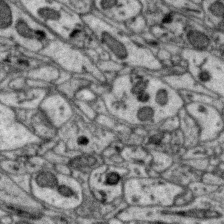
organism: Zebra finch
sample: Brain